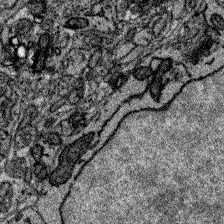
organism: Zebrafish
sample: Larval olfactory bulb